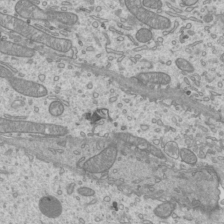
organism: Mouse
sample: Cilia; mouse epididymis